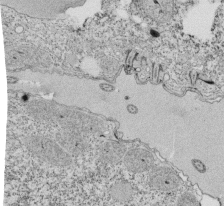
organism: Tetrahymena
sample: Cilia in tetrahymena